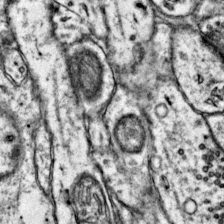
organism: Mouse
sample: Primary visual cortex